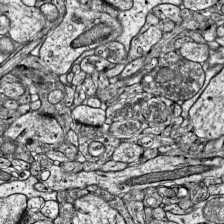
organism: Mouse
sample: Visual Cortex